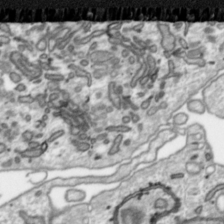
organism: Toxoplasma gondii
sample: Parasites in a vacuole inside a host cell